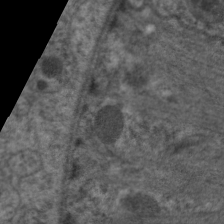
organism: C. elegans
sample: Pharynx